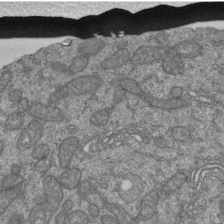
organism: Human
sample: Retinal organoid Rod and Cone cells